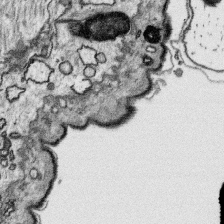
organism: Platynereis dumerilii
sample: Parapodia